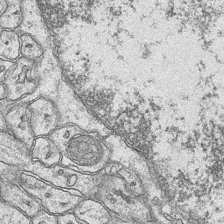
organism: Mouse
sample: CA1 Hippocampus